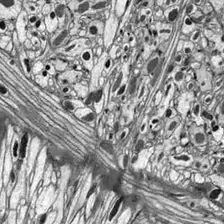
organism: Drosophila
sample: Optic lobe